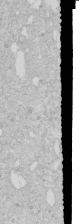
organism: Human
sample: Caco-2 cells